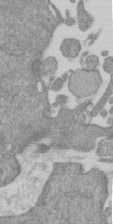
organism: Mouse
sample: ED-1 cell nuclei; centrioles